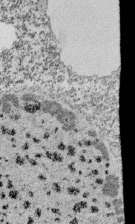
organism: Tetrahymena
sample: Cilia in tetrahymena